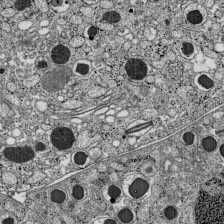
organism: C57BL Mouse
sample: Pancreatic islet